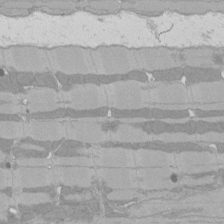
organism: Rat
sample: Left ventricle